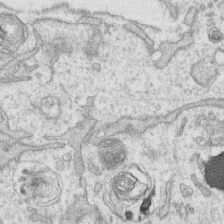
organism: Human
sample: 1205lu cells